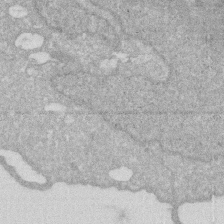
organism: Human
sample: HIV infected U937 cells